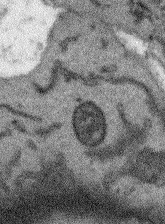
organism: Arabidopsis thaliana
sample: Root tip